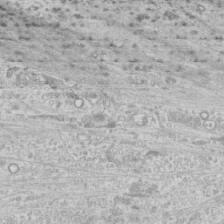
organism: Human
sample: CRL-1474